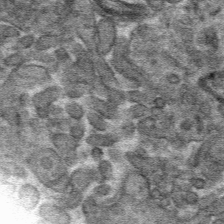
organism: Mouse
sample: Mouse hepatocytes